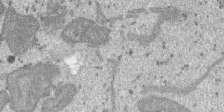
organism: Human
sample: Lung epithelial cells infected with SARS-CoV-2